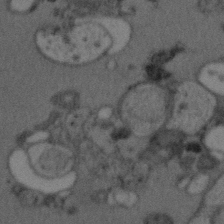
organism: Human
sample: HeLa cells